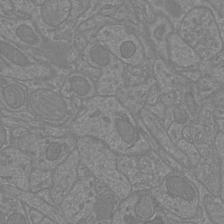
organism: Mouse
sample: Cortical neurons